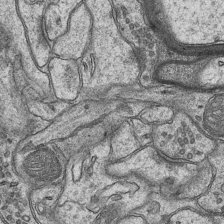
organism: Mouse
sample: CA1 Hippocampus